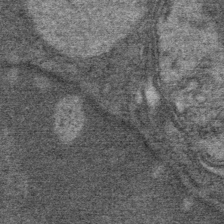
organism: Mouse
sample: Mouse Salivary gland